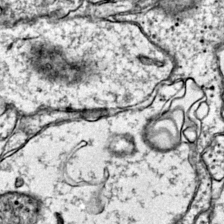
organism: Mouse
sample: Primary visual cortex